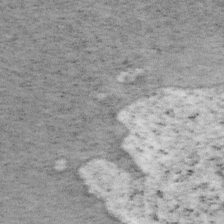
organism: Mouse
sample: OT-I killer T cells with ID8 ovarian cancer cells